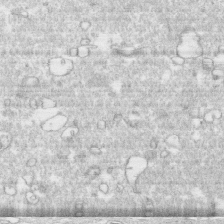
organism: Human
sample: CRL-1474